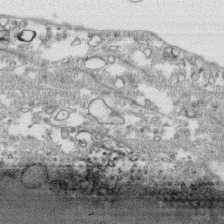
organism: Human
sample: CRL-1474